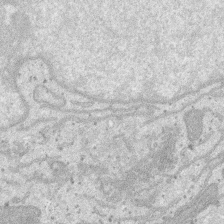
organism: Human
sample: Lung epithelial cells infected with SARS-CoV-2